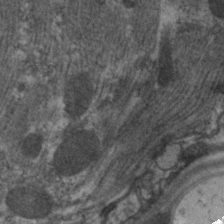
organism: C. elegans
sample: Pharynx